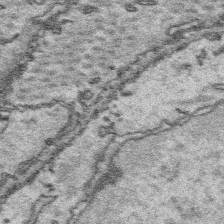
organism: Platynereis dumerilii